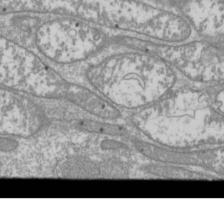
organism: Drosophila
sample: Cell division; meiosis; drosophila spermatocytes